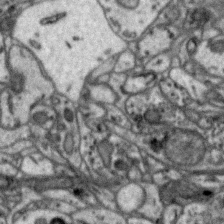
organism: Zebra finch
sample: Brain